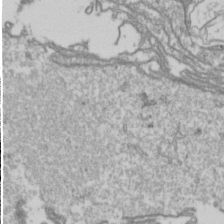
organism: Drosophila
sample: Cell division; meiosis; drosophila spermatocytes